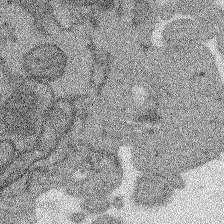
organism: Human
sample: HeLa cells